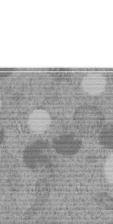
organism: C. elegans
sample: C. elegans embryo early stage